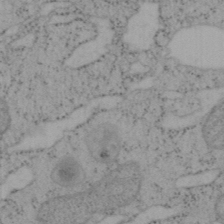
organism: Mouse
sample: OT-I killer T cells with ID8 ovarian cancer cells